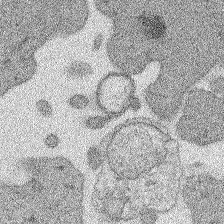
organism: Human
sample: HeLa cells